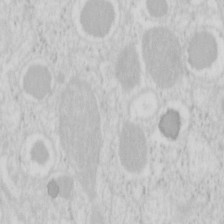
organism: Mouse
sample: Pancreas